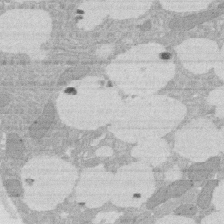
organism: Rat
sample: Salivary granule